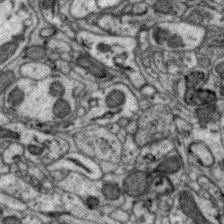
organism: Zebra finch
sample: Brain